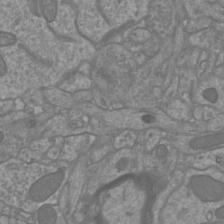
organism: Mouse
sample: Cortical neurons